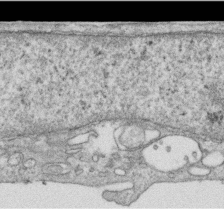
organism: Human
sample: Centriole in RPE cells